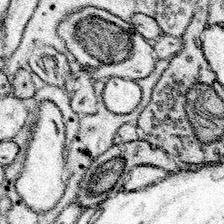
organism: Mouse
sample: Somatosensory cortex neuropil